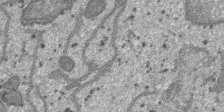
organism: Human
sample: Lung epithelial cells infected with SARS-CoV-2